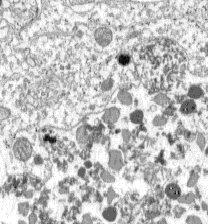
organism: C57BL Mouse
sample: Pancreatic islet